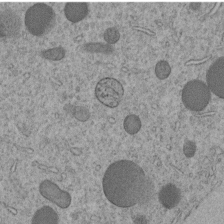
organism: C. elegans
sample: C. elegans embryo early stage